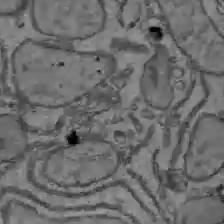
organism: C57BL Mouse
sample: Liver